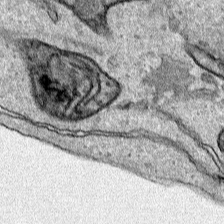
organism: Human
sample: Mitochondria in HCT116 cells